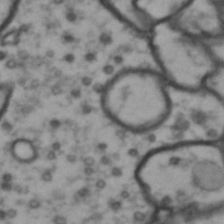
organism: Drosophila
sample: Brain